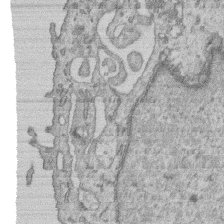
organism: Human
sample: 1205lu cells